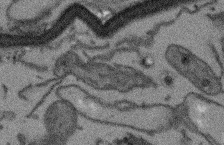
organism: Arabidopsis thaliana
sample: Root tip